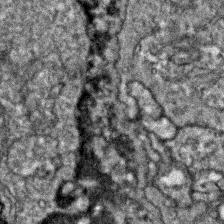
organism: Zebrafish